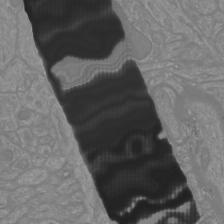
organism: Mouse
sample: Cortical neurons